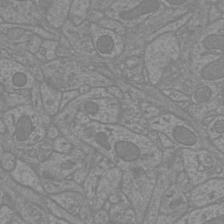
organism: Mouse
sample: Cortical neurons